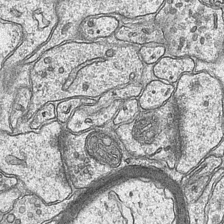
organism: Mouse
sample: CA1 Hippocampus